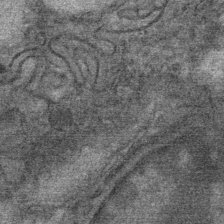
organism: Mouse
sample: Mouse Salivary gland